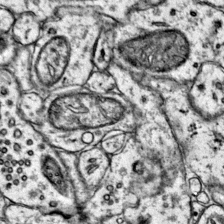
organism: Mouse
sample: Primary visual cortex